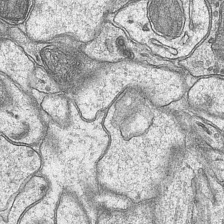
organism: Mouse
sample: CA1 Hippocampus